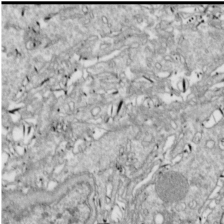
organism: Drosophila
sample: Cell division; meiosis; drosophila spermatocytes